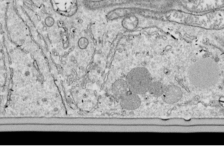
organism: Drosophila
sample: Cell division; meiosis; drosophila spermatocytes